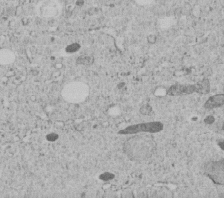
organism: C. elegans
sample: C. elegans embryo early stage